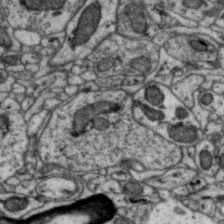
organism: Zebra finch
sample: Brain